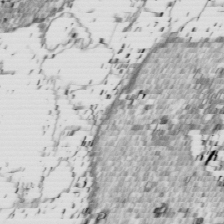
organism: Drosophila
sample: Cell division; meiosis; drosophila spermatocytes